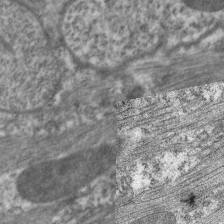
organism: C. elegans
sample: Pharynx